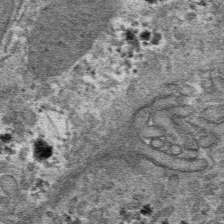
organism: Mouse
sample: Mouse hepatocytes